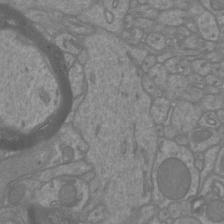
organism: Mouse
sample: Cortical neurons